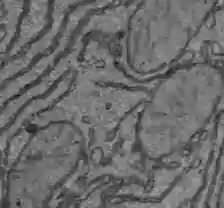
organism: C57BL Mouse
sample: Liver